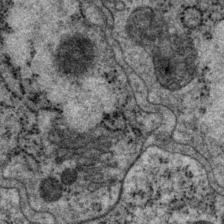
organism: P. pacificus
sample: Pharynx